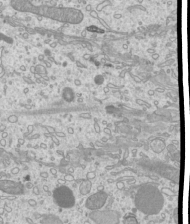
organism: Mouse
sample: Cilia; mouse epididymis